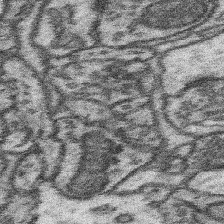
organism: Mouse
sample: Somatosensory cortex neuropil